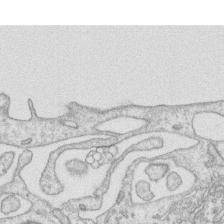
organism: Human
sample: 1205lu cells